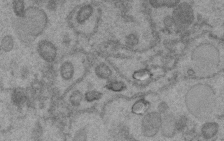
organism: C. elegans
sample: C. elegans embryo early stage